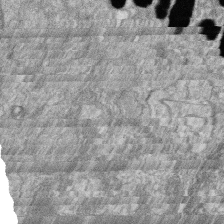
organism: Zebrafish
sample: Cilia; retinal pigment epithelium